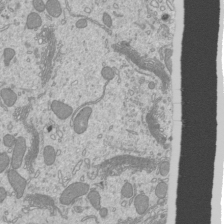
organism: Mouse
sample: Cilia; mouse epididymis